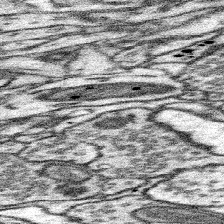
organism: Mouse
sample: Somatosensory cortex neuropil